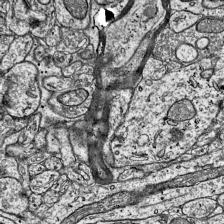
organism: Mouse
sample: Visual Cortex